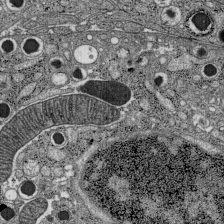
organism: C57BL Mouse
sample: Pancreatic islet